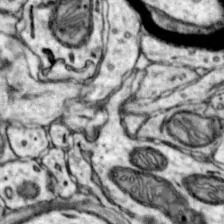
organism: Mouse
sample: Nucleus accumbens